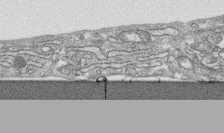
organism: Human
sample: CRL-1474